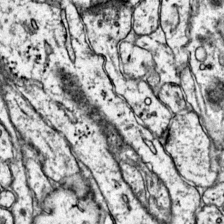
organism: Mouse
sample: Primary visual cortex